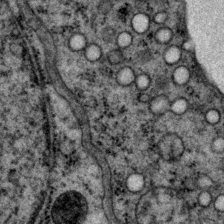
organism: P. pacificus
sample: Pharynx